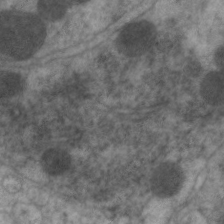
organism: C. elegans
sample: Pharynx